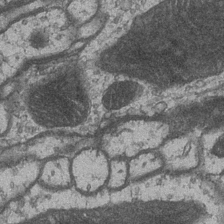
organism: Drosophila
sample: Optic medulla